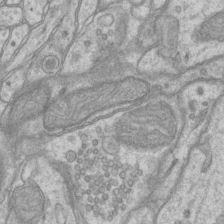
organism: Mouse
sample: CA1 Hippocampus